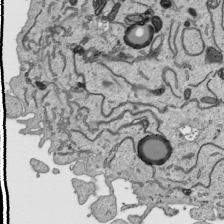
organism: Human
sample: Mitochondria in HCT116 cells